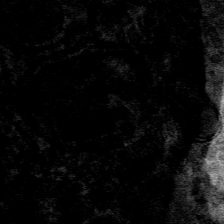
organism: Mouse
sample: Mouse hepatocytes